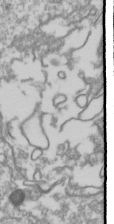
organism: Drosophila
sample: Cell division; meiosis; drosophila spermatocytes